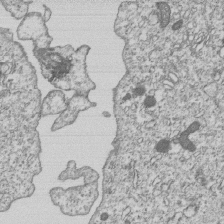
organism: Human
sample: MDA-MB-231 cells